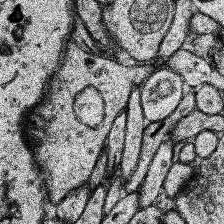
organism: Human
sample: Temporal Lobe